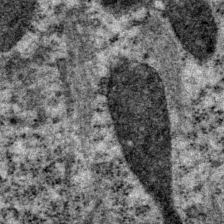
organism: P. pacificus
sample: Pharynx